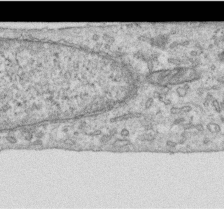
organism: Human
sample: Centriole in RPE cells